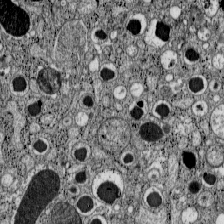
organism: C57BL Mouse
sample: Pancreatic islet